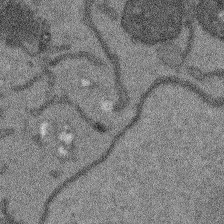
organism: Arabidopsis thaliana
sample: Root tip